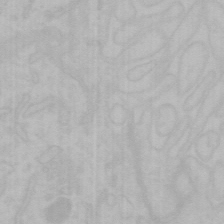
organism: Mouse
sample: Choroid plexus